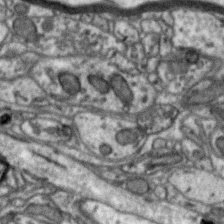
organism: Zebra finch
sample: Brain